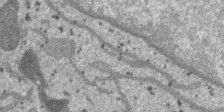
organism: Human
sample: Lung epithelial cells infected with SARS-CoV-2